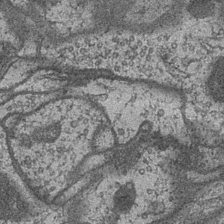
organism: Drosophila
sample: Optic medulla